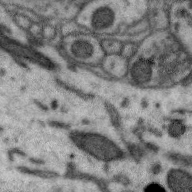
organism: Zebra finch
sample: Brain